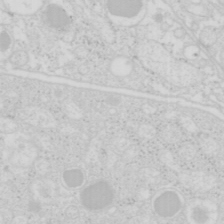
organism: Mouse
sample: Pancreas